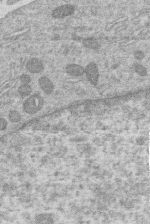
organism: Human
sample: Macrophage cells